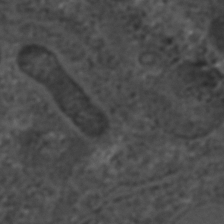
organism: C. elegans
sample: C. elegans embryo